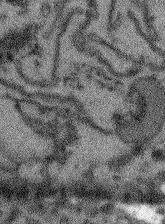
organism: Arabidopsis thaliana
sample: Root tip